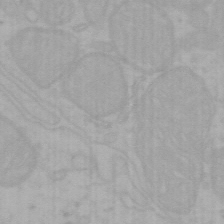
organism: Mouse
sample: Choroid plexus